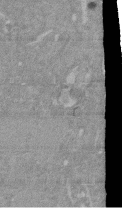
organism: Mouse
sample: ED-1 cell nuclei; centrioles